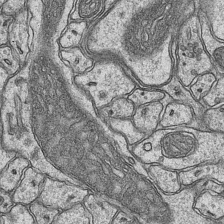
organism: Mouse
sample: CA1 Hippocampus